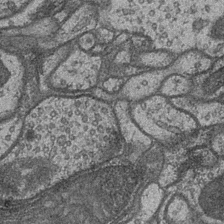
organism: Drosophila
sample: Optic medulla